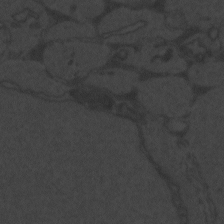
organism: Zebrafish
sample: Macrophage infected with Toxoplasma gondii